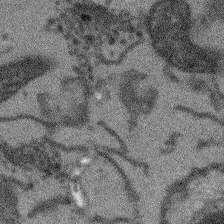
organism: Arabidopsis thaliana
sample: Root tip